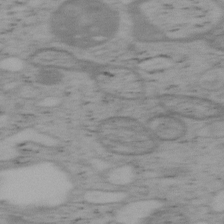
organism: Mouse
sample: OT-I killer T cells with ID8 ovarian cancer cells